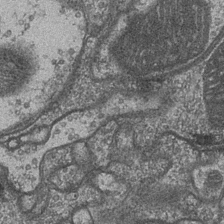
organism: Drosophila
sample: Optic medulla